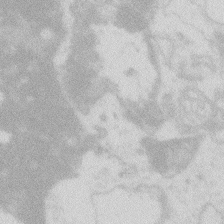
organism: Zebrafish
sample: Macrophage